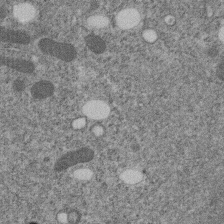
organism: C. elegans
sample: C. elegans embryo early stage